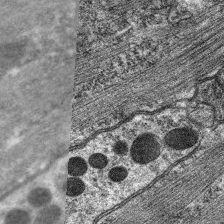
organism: C. elegans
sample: Pharynx